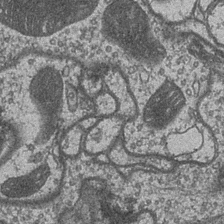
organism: Drosophila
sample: Optic medulla